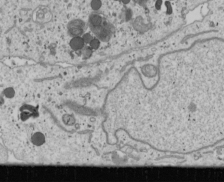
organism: Human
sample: Mitochondria in U2OS cells